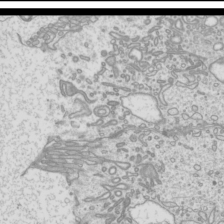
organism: Mouse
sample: Cilia; mouse epididymis